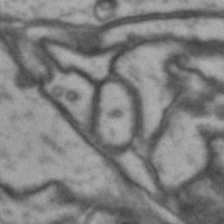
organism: Drosophila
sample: Brain